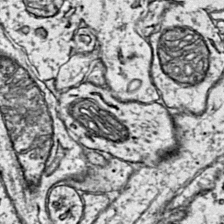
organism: Mouse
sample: Primary visual cortex